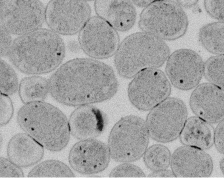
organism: E. coli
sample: Bacterial nucleoid